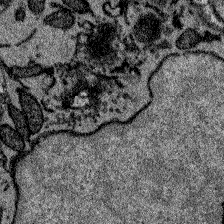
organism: Zebrafish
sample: Larval olfactory bulb